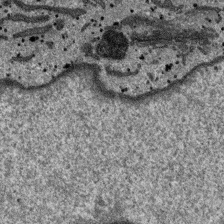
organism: Human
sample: Lung epithelial cells, uninfected (mock) control